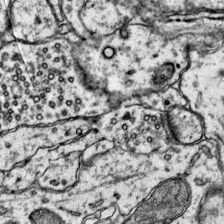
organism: Mouse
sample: Primary visual cortex